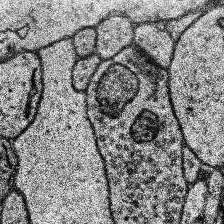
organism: Human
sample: Temporal Lobe